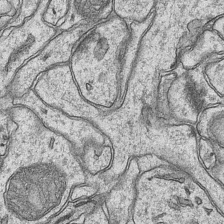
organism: Mouse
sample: CA1 Hippocampus